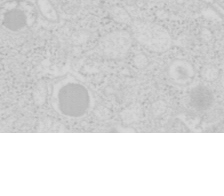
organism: Mouse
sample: Pancreas